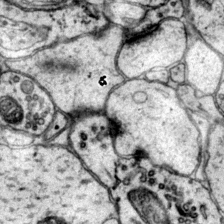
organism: Mouse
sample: Primary visual cortex